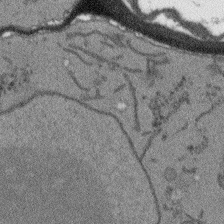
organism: Arabidopsis thaliana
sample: Root tip